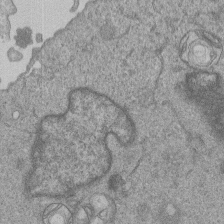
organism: Human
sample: MDA-MB-231 cells